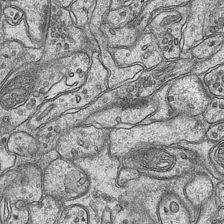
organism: Mouse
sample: CA1 Hippocampus